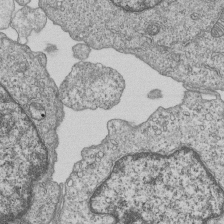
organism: Human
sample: MDA-MB-231 cells